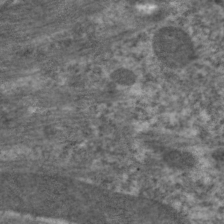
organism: C. elegans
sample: Pharynx